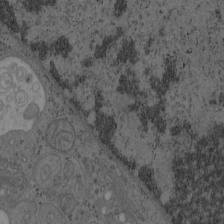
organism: Mouse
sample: OT-I killer T cells with ID8 ovarian cancer cells